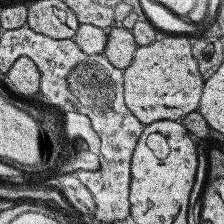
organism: Human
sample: Temporal Lobe